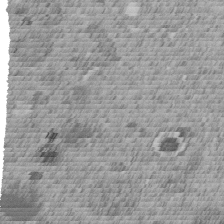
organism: C. elegans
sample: C. elegans embryo early stage